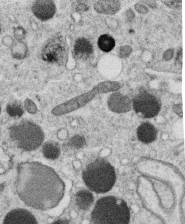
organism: C. elegans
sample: C. elegans oocyte; sperm cells